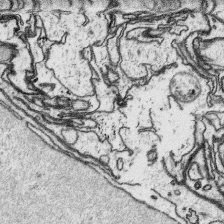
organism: Platynereis dumerilii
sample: Parapodia